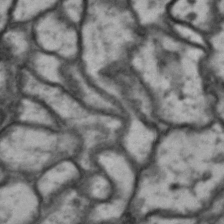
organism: Drosophila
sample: Brain